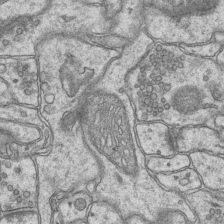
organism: Mouse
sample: CA1 Hippocampus